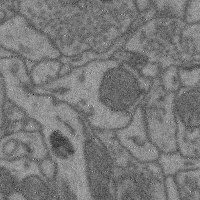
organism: Mouse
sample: Cerebral cortex